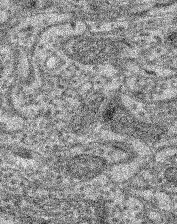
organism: Mouse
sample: Retina